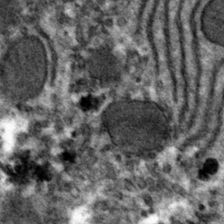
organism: Mouse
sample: Mouse hepatocytes